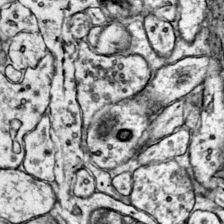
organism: Mouse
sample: Primary visual cortex